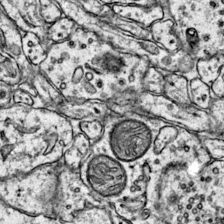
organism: Mouse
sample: Primary visual cortex